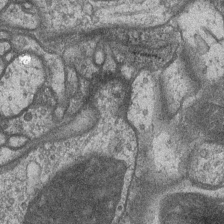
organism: Drosophila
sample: Optic medulla